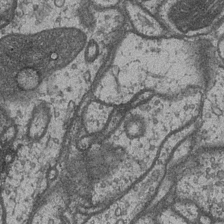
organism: Drosophila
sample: Optic medulla